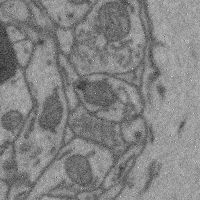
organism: Mouse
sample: Cerebral cortex